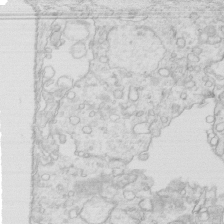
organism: Mouse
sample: Multiciliated cells